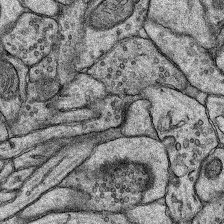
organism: Rat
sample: Hippocampus